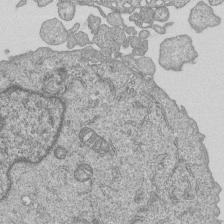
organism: Human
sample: MDA-MB-231 cells